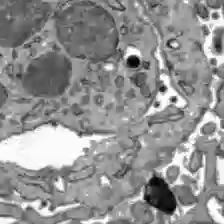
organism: C57BL Mouse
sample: Liver